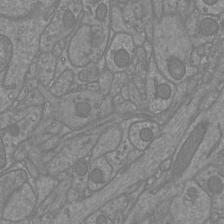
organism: Mouse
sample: Cortical neurons